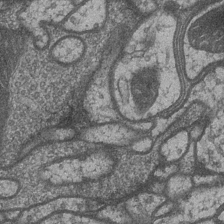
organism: Drosophila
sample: Optic medulla